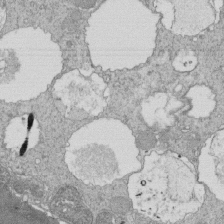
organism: Tetrahymena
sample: Cilia in tetrahymena